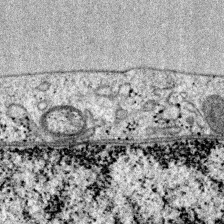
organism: Human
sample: HeLa cells